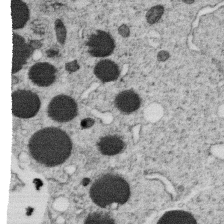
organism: C. elegans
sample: C. elegans oocyte; sperm cells